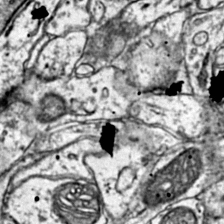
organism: Mouse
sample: Primary visual cortex